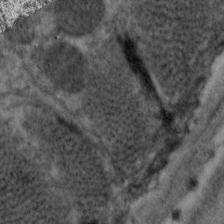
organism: C. elegans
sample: Pharynx